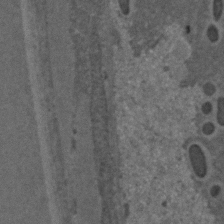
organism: C. elegans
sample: C. elegans embryo